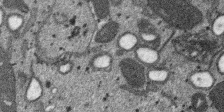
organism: Human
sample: Lung epithelial cells infected with SARS-CoV-2